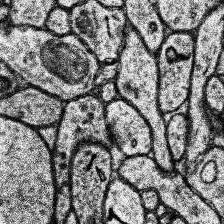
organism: Human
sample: Temporal Lobe